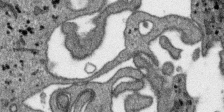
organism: Human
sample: Lung epithelial cells, uninfected (mock) control